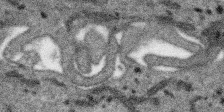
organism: Human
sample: Lung epithelial cells infected with SARS-CoV-2